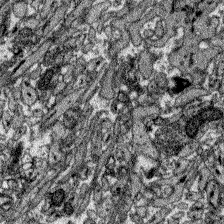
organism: Zebrafish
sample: Larval olfactory bulb